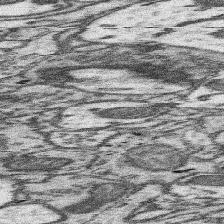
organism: Mouse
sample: Somatosensory cortex neuropil